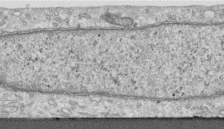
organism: Human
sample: Centriole in RPE cells